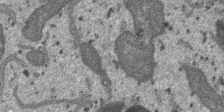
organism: Human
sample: Lung epithelial cells infected with SARS-CoV-2